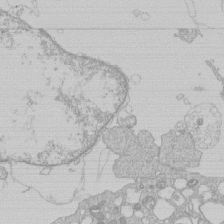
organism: Human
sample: Macrophage cells